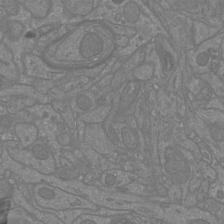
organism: Mouse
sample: Cortical neurons